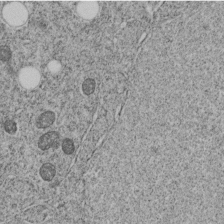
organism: C. elegans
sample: C. elegans embryo early stage